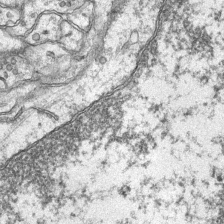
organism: Mouse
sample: CA1 Hippocampus